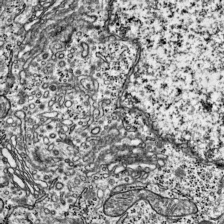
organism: Mouse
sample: Visual Cortex